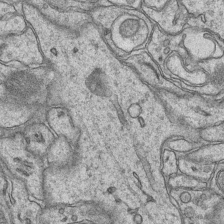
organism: Mouse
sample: CA1 Hippocampus